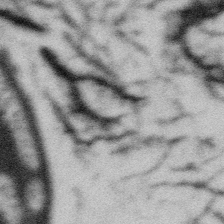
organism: Gemmata obscuriglobus